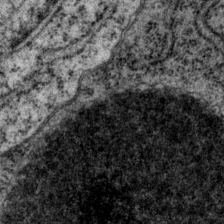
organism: P. pacificus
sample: Pharynx